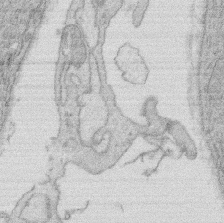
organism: Rat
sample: Salivary granule